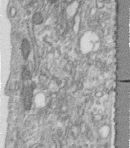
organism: Human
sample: Centriole in fibroblast cells